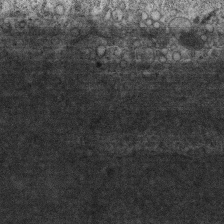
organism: Mouse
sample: Centriole in ependymal cells